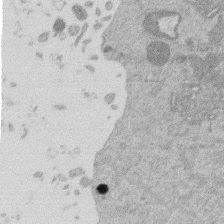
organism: Mouse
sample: Dividing mouse embryo 1 cell stage